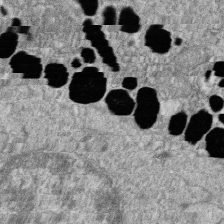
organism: Zebrafish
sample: Cilia; retinal pigment epithelium